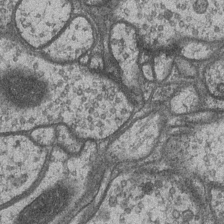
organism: Drosophila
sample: Optic medulla